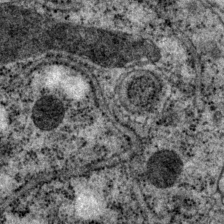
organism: P. pacificus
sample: Pharynx